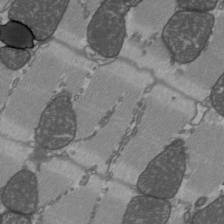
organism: C57BL Mouse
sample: Heart